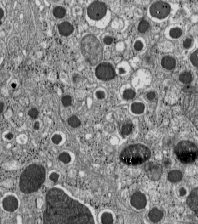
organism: C57BL Mouse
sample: Pancreatic islet